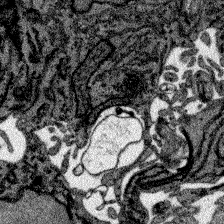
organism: Zebrafish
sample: Larval olfactory bulb